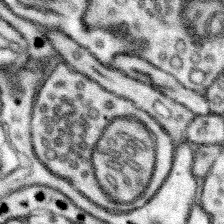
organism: Mouse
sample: Somatosensory cortex neuropil